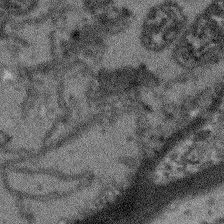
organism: Arabidopsis thaliana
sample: Root tip